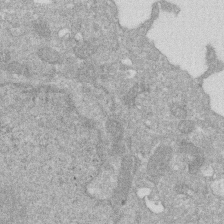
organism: Human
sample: HIV infected U937 cells